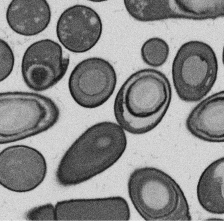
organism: B. subtilis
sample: Bacterial spore